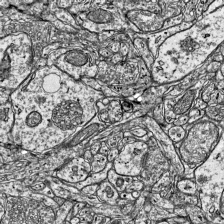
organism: Mouse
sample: Visual Cortex